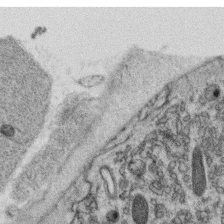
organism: C. elegans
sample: C. elegans oocyte; sperm cells